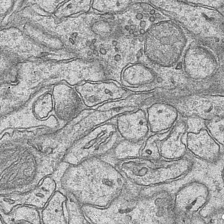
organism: Mouse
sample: CA1 Hippocampus